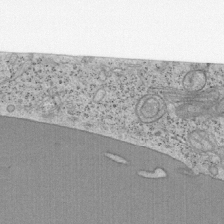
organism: Human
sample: HeLa cells